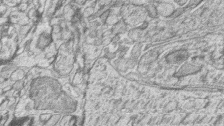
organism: Zebrafish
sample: synaptic ribbons in rod cells and cone cells